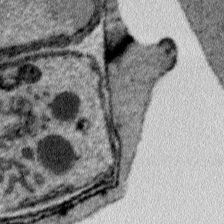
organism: Plasmodium falciparum